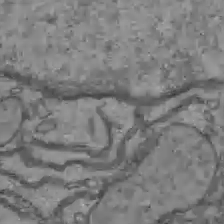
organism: C57BL Mouse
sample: Liver